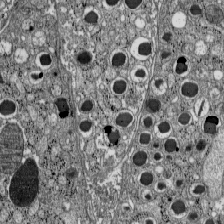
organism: C57BL Mouse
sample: Pancreatic islet